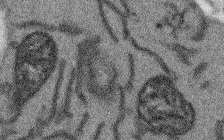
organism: Arabidopsis thaliana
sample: Root tip